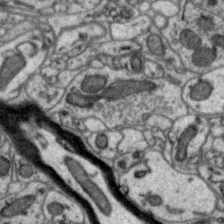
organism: Zebra finch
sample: Brain